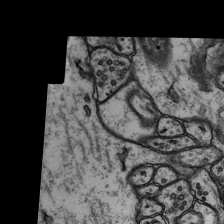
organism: Rat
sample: Hippocampus